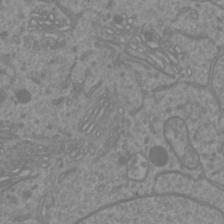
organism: Mouse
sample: Cortical neurons